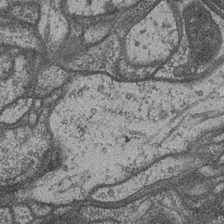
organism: Drosophila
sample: Optic medulla